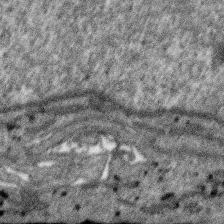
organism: Human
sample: Lung epithelial cells infected with SARS-CoV-2